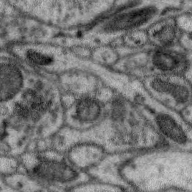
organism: Zebra finch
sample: Brain